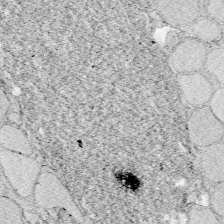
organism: Zebrafish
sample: Whole-Brain